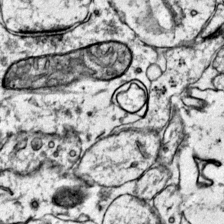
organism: Mouse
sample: Primary visual cortex